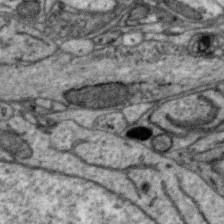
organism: Zebra finch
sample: Brain